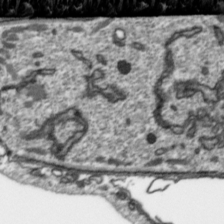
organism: Toxoplasma gondii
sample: Parasites in a vacuole inside a host cell